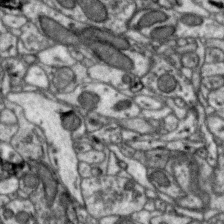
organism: Zebra finch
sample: Brain